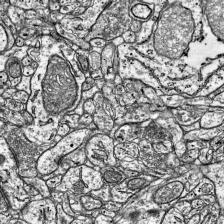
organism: Mouse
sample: Visual Cortex